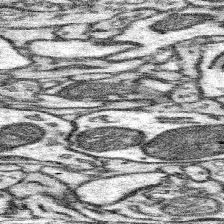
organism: Mouse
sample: Somatosensory cortex neuropil